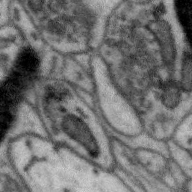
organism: Zebra finch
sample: Brain